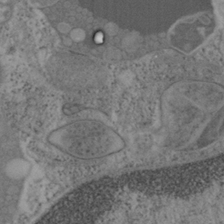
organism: Mouse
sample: OT-I killer T cells with ID8 ovarian cancer cells